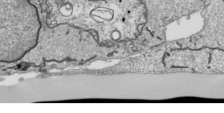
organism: Human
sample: Mitochondria in HCT116 cells